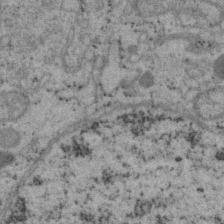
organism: Human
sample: HeLa cells